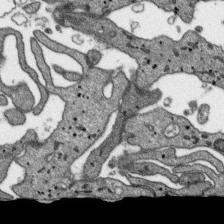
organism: Human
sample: Lung epithelial cells, uninfected (mock) control